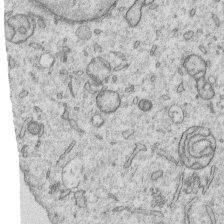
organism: Human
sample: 1205lu cells